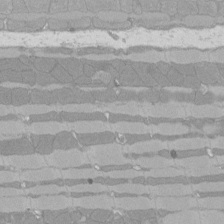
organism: Rat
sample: Left ventricle